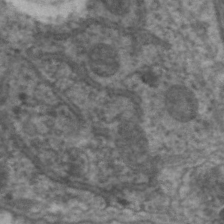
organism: C. elegans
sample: Pharynx